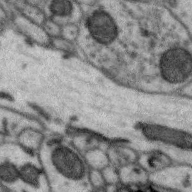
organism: Zebra finch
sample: Brain